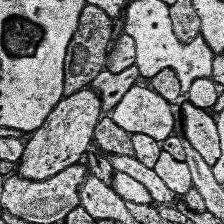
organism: Human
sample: Temporal Lobe